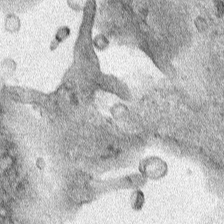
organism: Human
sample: Mitochondria in HCT116 cells